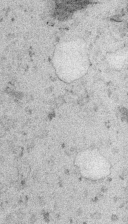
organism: Embia sp.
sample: Silk gland